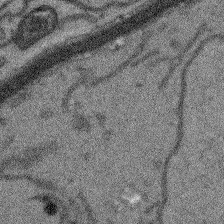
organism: Arabidopsis thaliana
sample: Root tip